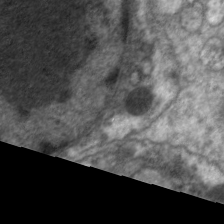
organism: C. elegans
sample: Pharynx